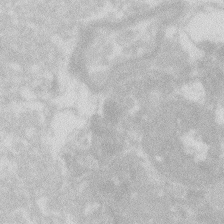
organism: Zebrafish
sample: Macrophage